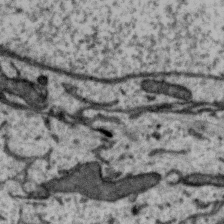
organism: Zebra finch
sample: Brain